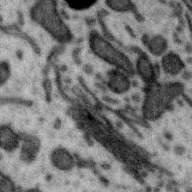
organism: Zebra finch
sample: Brain